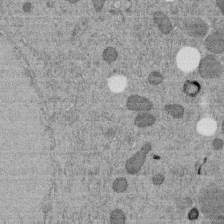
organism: C. elegans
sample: C. elegans embryo early stage